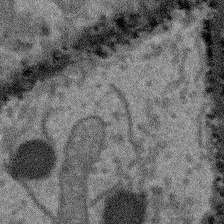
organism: Arabidopsis thaliana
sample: Root tip